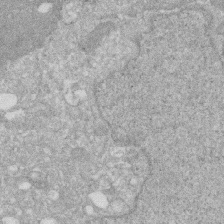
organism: Human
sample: HIV infected U937 cells